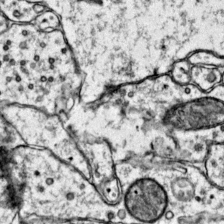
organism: Mouse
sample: Primary visual cortex